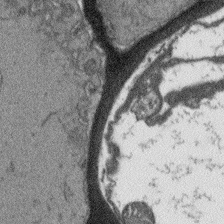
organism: Arabidopsis thaliana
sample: Root tip